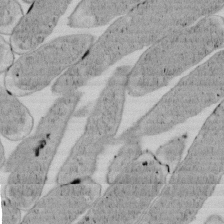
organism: E. coli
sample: Bacterial nucleoid